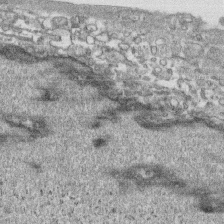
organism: Human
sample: CRL-1474